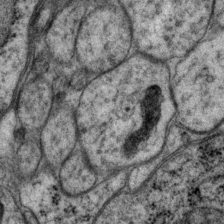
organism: P. pacificus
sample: Pharynx